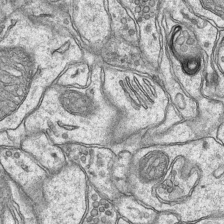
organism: Mouse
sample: CA1 Hippocampus